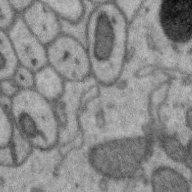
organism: Zebra finch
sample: Brain